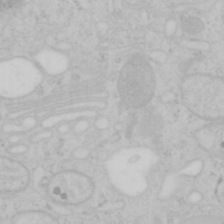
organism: Mouse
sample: OT-I killer T cells with ID8 ovarian cancer cells